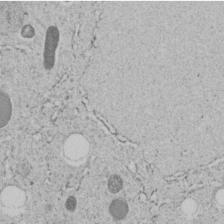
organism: C. elegans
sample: C. elegans embryo early stage